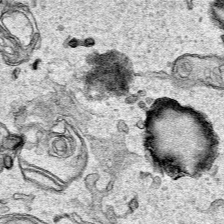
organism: Human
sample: Mitochondria in HCT116 cells